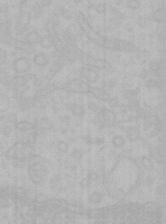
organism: Mouse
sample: Choroid plexus